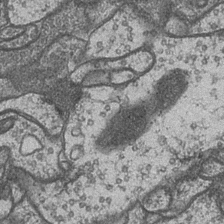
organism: Drosophila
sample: Optic medulla